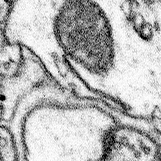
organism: Mouse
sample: Somatosensory cortex neuropil